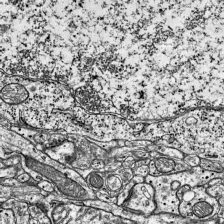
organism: Mouse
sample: Visual Cortex